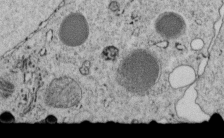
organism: C. elegans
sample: C. elegans embryo early stage